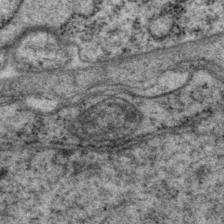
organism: P. pacificus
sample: Pharynx